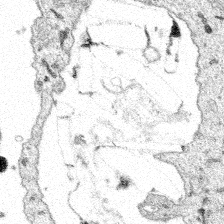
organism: Spongilla lacustris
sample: Multiple